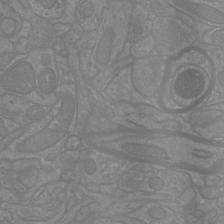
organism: Mouse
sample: Cortical neurons